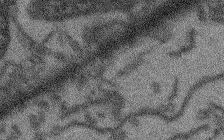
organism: Arabidopsis thaliana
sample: Root tip